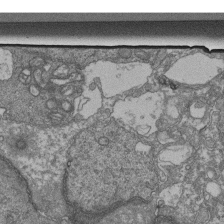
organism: Human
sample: Retinal organoid Rod and Cone cells